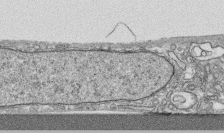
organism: Human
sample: CRL-1474